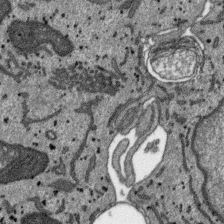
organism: Human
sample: Lung epithelial cells, uninfected (mock) control